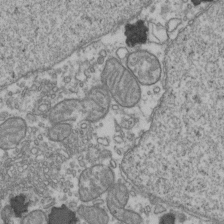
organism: Human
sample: Activated Jurkat CD4+ T cells